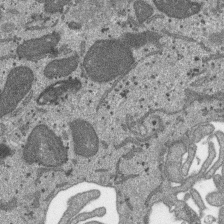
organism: Human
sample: Lung epithelial cells infected with SARS-CoV-2